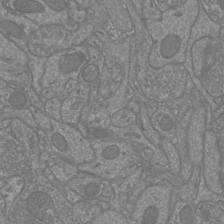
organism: Mouse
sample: Cortical neurons